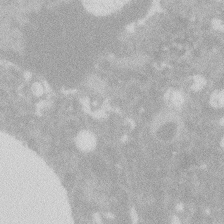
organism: Zebrafish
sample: Macrophage